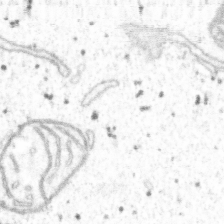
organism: Human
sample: HeLa cells